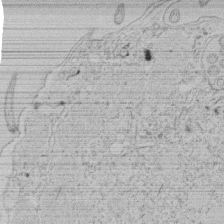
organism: Tetrahymena